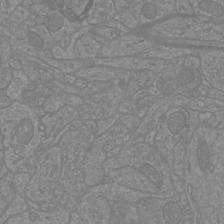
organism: Mouse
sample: Cortical neurons